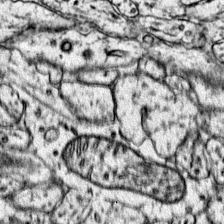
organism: Mouse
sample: Primary visual cortex